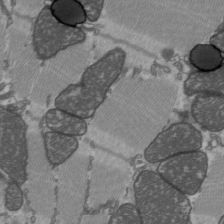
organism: C57BL Mouse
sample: Heart